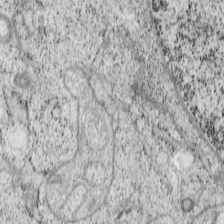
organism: African green monkey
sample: COS-7 cells